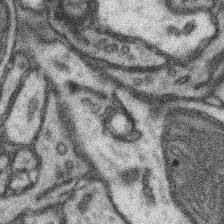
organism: Mouse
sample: Somatosensory cortex neuropil